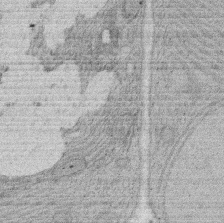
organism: Rat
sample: Salivary granule